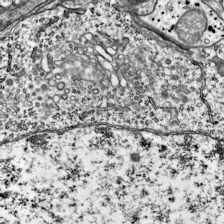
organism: Mouse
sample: Visual Cortex